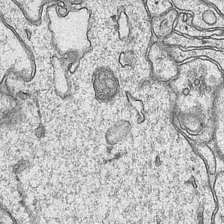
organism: Mouse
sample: CA1 Hippocampus